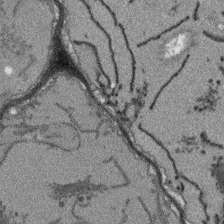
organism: Arabidopsis thaliana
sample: Root tip